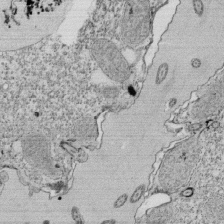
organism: Tetrahymena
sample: Cilia in tetrahymena